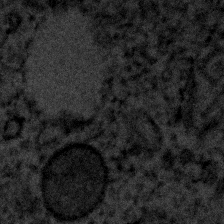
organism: Human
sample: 1205lu cells